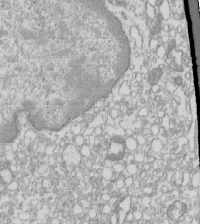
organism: Mouse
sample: Macrophages